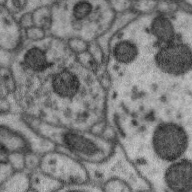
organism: Zebra finch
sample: Brain